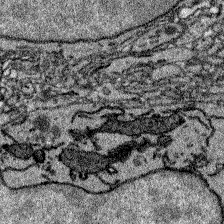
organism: Zebrafish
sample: Larval olfactory bulb